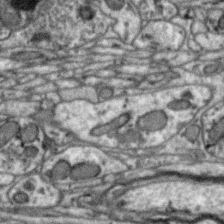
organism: Zebra finch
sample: Brain